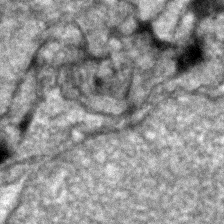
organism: Zebrafish